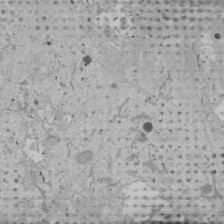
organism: Human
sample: Mitochondria in U2OS cells